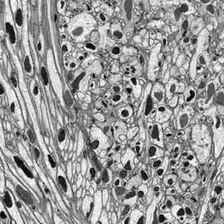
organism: Drosophila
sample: Optic lobe